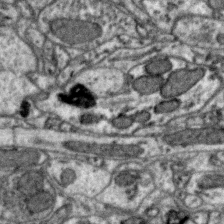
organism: Zebra finch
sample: Brain